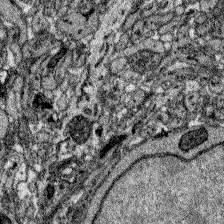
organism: Zebrafish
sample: Larval olfactory bulb